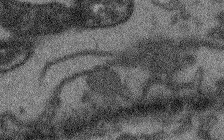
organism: Arabidopsis thaliana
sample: Root tip